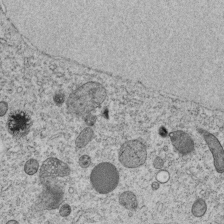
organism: C. elegans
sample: C. elegans embryo early stage